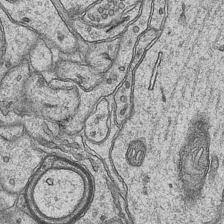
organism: Mouse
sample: CA1 Hippocampus